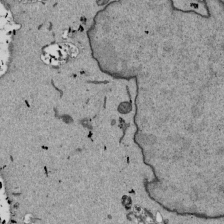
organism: Mouse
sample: ED-1 cell nuclei; centrioles